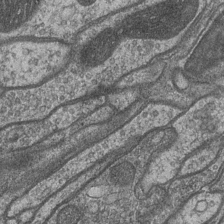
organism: Drosophila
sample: Optic medulla